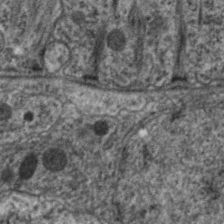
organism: C. elegans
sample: Pharynx